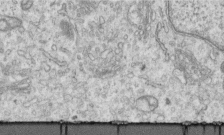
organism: Human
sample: Centriole in RPE cells